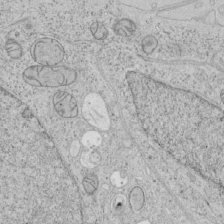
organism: Human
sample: Mitochondria in HCT116 cells